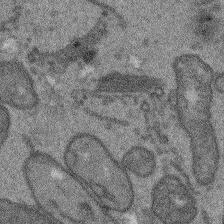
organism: Arabidopsis thaliana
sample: Root tip